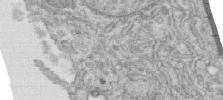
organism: Human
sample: Centriole in RPE cells